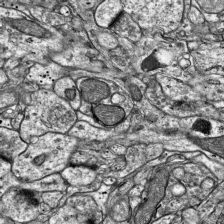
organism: Mouse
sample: Visual Cortex